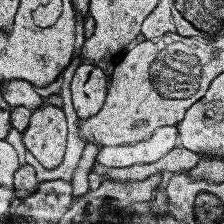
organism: Human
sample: Temporal Lobe